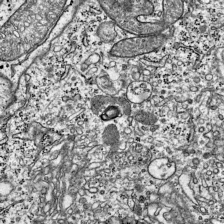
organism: Mouse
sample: Visual Cortex